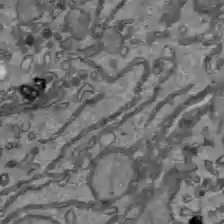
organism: C57BL Mouse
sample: Liver